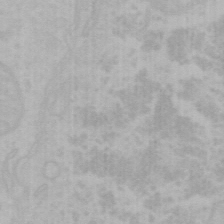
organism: Mouse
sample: Choroid plexus